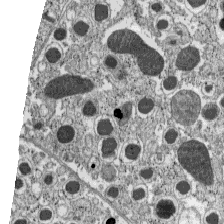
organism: C57BL Mouse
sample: Pancreatic islet